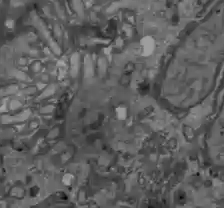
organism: C57BL Mouse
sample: Liver